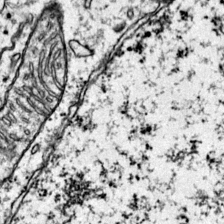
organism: Mouse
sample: Primary visual cortex